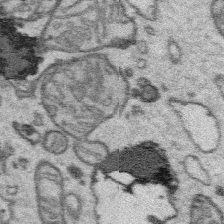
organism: Platynereis dumerilii